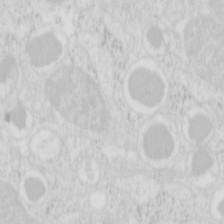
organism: Mouse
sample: Pancreas